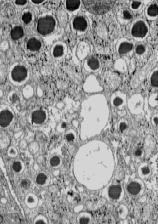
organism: C57BL Mouse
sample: Pancreatic islet